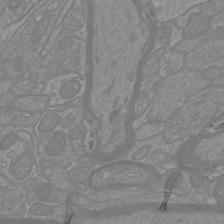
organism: Mouse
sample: Cortical neurons